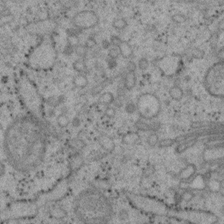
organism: Human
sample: HeLa cells